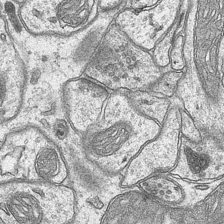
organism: Mouse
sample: CA1 Hippocampus